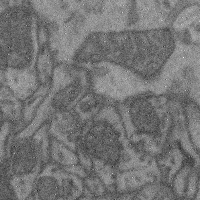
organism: Mouse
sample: Cerebral cortex